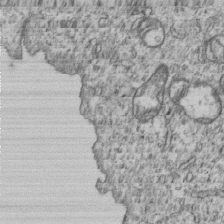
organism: Human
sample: MDA-MB-231 cells